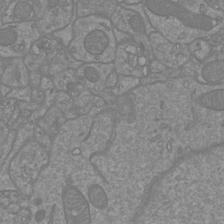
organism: Mouse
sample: Cortical neurons